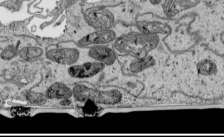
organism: Human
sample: Mitochondria in HCT116 cells